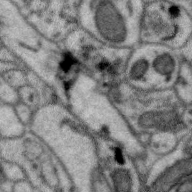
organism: Zebra finch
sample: Brain